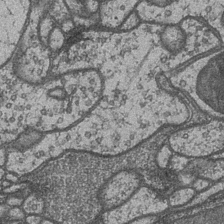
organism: Drosophila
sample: Optic medulla